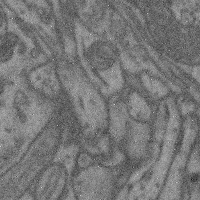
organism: Mouse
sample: Cerebral cortex